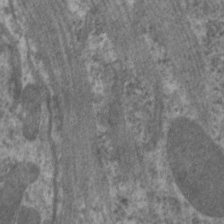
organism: C. elegans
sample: Pharynx